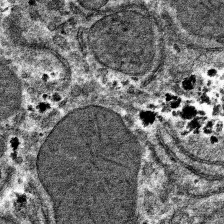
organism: Mouse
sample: Mouse hepatocytes